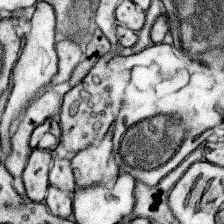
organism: Mouse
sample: Somatosensory cortex neuropil